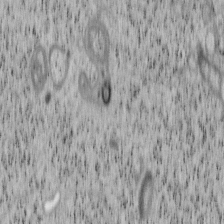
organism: Human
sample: HeLa cells